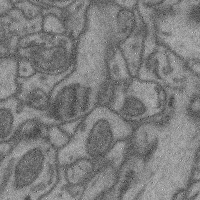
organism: Mouse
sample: Cerebral cortex